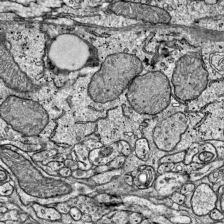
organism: Mouse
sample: Visual Cortex